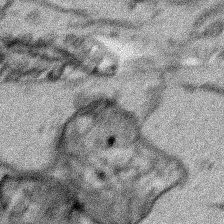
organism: Human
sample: Mitochondria in HCT116 cells